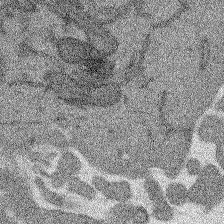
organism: Human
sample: HeLa cells